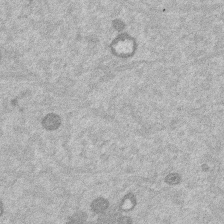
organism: Mouse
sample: Dividing mouse embryo 1 cell stage